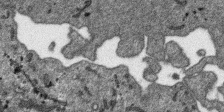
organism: Human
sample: Lung epithelial cells infected with SARS-CoV-2